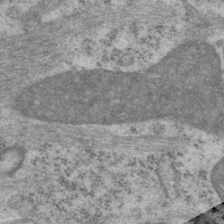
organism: P. pacificus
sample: Pharynx